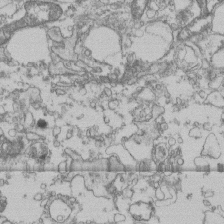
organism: Human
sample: Fibroblast cells